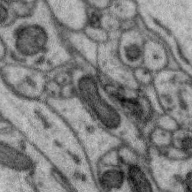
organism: Zebra finch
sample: Brain